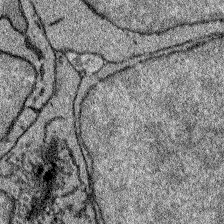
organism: Zebrafish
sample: Larval olfactory bulb